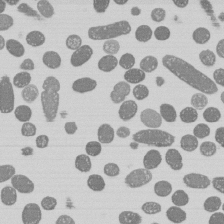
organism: E. coli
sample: Bacterial nucleoid